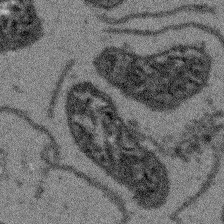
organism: Arabidopsis thaliana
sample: Root tip